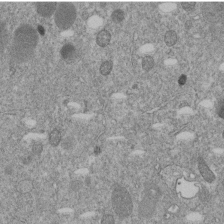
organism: C. elegans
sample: C. elegans embryo early stage